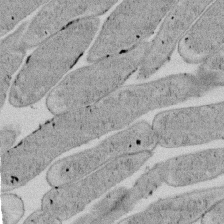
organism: E. coli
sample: Bacterial nucleoid